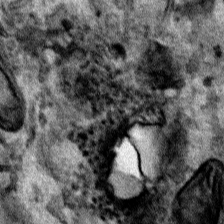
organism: Human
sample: Mitochondria in HCT116 cells